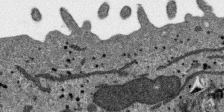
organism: Human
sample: Lung epithelial cells, uninfected (mock) control